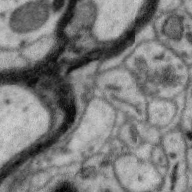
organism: Zebra finch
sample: Brain